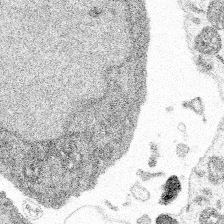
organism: Spongilla lacustris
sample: Multiple